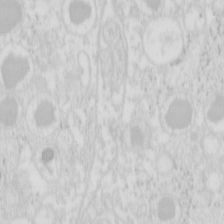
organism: Mouse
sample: Pancreas